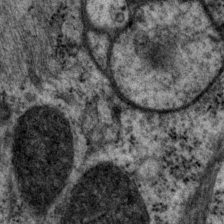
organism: P. pacificus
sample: Pharynx